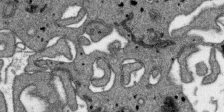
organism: Human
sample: Lung epithelial cells, uninfected (mock) control